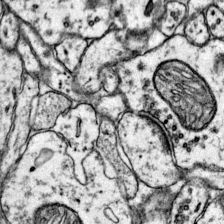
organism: Mouse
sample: Primary visual cortex